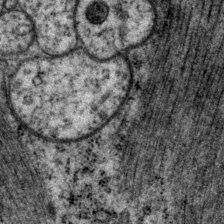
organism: P. pacificus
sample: Pharynx